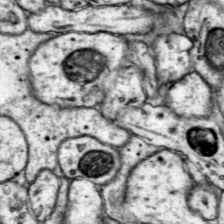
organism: Mouse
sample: Primary visual cortex